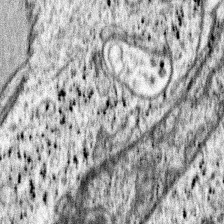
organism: Human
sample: HeLa cells